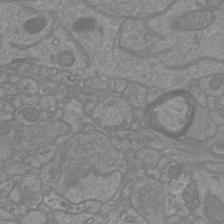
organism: Mouse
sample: Cortical neurons